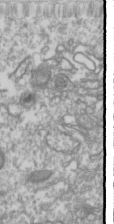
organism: Drosophila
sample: Cell division; meiosis; drosophila spermatocytes